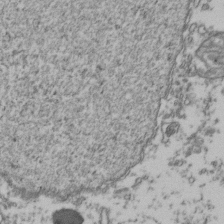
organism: Human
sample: Activated Jurkat CD4+ T cells